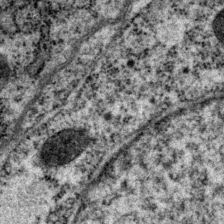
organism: P. pacificus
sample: Pharynx